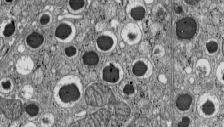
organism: C57BL Mouse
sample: Pancreatic islet